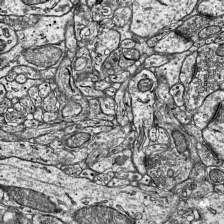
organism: Mouse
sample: Visual Cortex